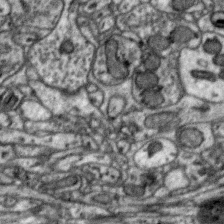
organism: Zebra finch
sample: Brain